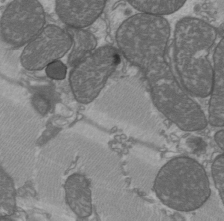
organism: C57BL Mouse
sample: Heart